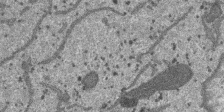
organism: Human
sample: Lung epithelial cells infected with SARS-CoV-2